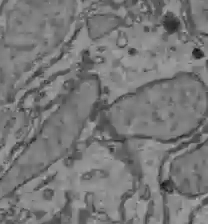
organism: C57BL Mouse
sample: Liver